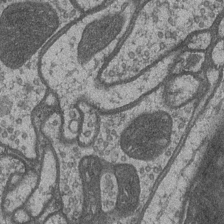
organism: Drosophila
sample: Optic medulla